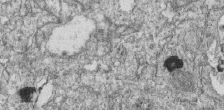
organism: Human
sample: HeLa cell HIV synapse